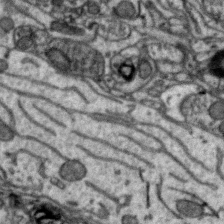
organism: Zebra finch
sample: Brain